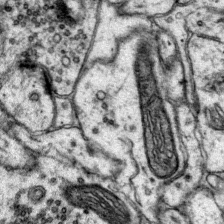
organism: Mouse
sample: Primary visual cortex